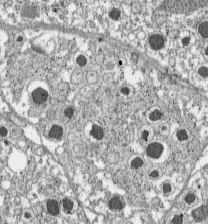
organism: C57BL Mouse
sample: Pancreatic islet